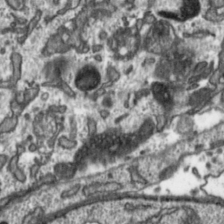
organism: Toxoplasma gondii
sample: Parasites in a vacuole inside a host cell